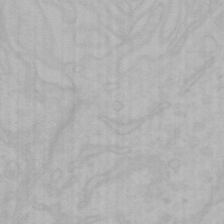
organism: Mouse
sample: Choroid plexus